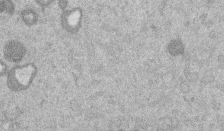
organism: Mouse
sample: Dividing mouse embryo 1 cell stage